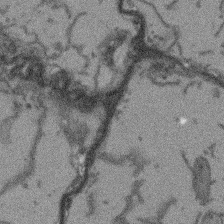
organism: Arabidopsis thaliana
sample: Root tip